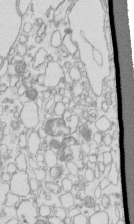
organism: Mouse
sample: Macrophages